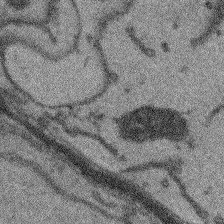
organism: Arabidopsis thaliana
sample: Root tip